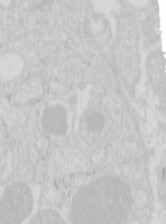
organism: Mouse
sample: Pancreas